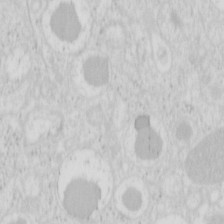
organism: Mouse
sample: Pancreas